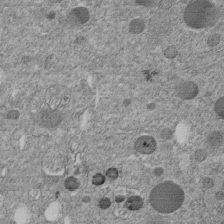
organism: C. elegans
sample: C. elegans embryo early stage